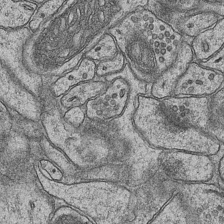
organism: Mouse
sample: CA1 Hippocampus